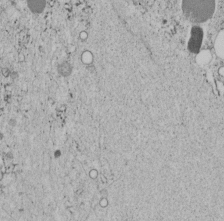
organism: C. elegans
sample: C. elegans embryo early stage